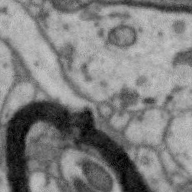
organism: Zebra finch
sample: Brain